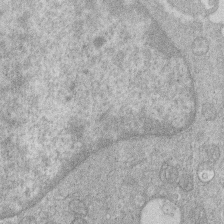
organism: Human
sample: Macrophage cells